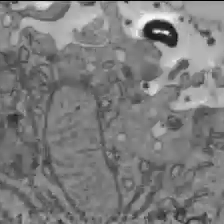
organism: C57BL Mouse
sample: Liver